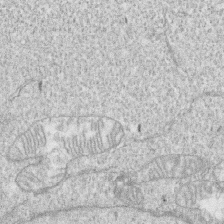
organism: Human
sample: HeLa cell HIV synapse